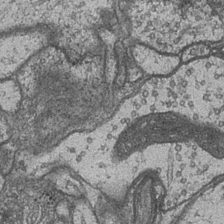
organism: Drosophila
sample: Optic medulla